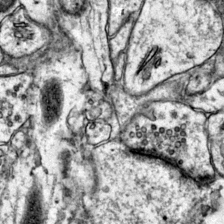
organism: Mouse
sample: Primary visual cortex